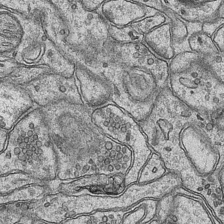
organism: Mouse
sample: CA1 Hippocampus